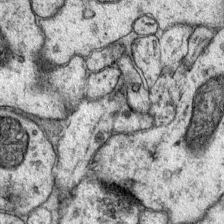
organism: Mouse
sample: Primary visual cortex